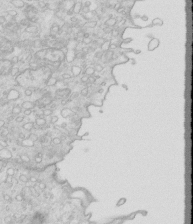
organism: Mouse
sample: Multiciliated cells